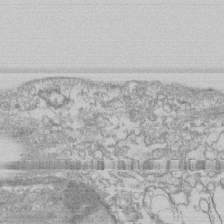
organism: Human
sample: CRL-1474